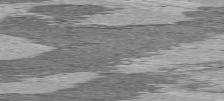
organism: C57BL Mouse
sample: Heart